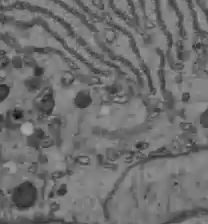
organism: C57BL Mouse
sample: Liver